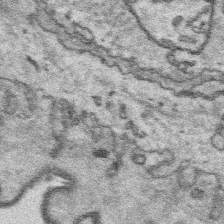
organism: Platynereis dumerilii